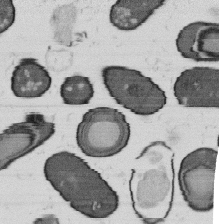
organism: B. subtilis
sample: Bacterial spore